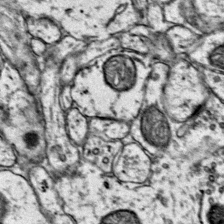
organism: Mouse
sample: Primary visual cortex